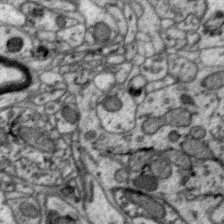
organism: Zebra finch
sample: Brain